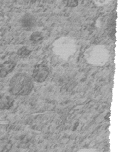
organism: C. elegans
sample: C. elegans embryo early stage